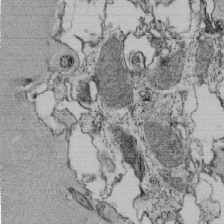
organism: Tetrahymena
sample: Cilia in tetrahymena